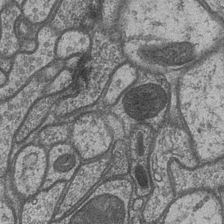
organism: Drosophila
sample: Optic medulla